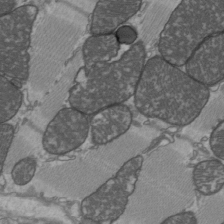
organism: C57BL Mouse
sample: Heart